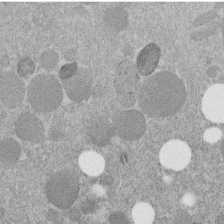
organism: C. elegans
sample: C. elegans embryo early stage